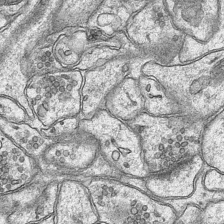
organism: Mouse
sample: CA1 Hippocampus